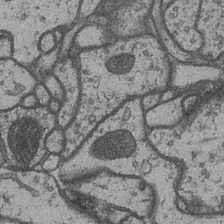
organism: Drosophila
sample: Optic medulla